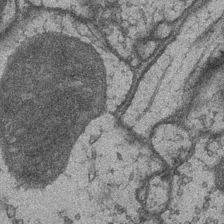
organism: Drosophila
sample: Optic medulla